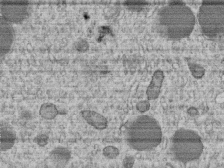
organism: C. elegans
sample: C. elegans embryo early stage